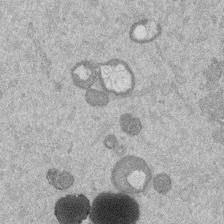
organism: Mouse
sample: Dividing mouse embryo 1 cell stage